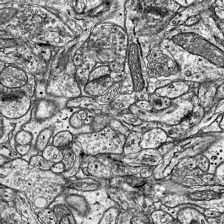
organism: Mouse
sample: Visual Cortex